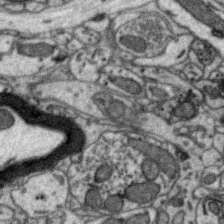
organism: Zebra finch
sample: Brain